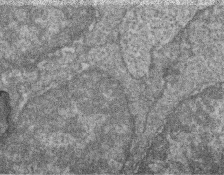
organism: Zebrafish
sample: Cilia; retinal pigment epithelium